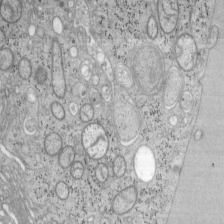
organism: Mouse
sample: OT-I killer T cells with ID8 ovarian cancer cells